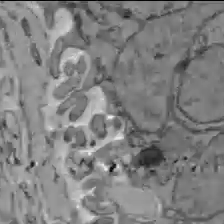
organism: C57BL Mouse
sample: Liver